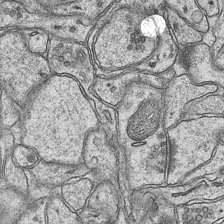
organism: Mouse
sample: CA1 Hippocampus